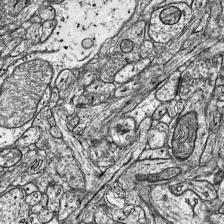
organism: Mouse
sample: Visual Cortex